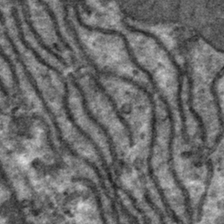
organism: Mouse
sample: Mouse hepatocytes